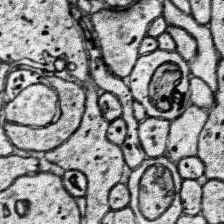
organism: Human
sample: Temporal Lobe